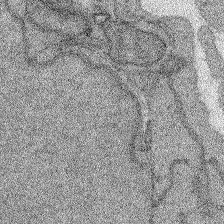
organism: Human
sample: HeLa cells